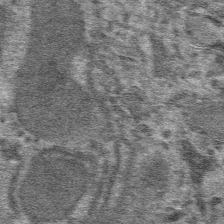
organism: Mouse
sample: Mouse hepatocytes